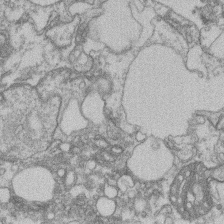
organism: Mouse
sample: T cell stromal cell synapse